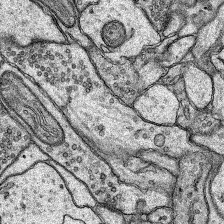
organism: Rat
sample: Hippocampus